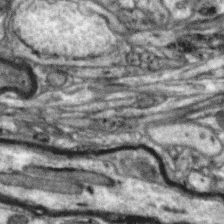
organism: Zebra finch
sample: Brain